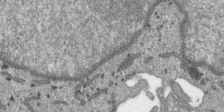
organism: Human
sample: Lung epithelial cells infected with SARS-CoV-2